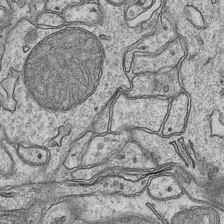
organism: Mouse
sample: CA1 Hippocampus